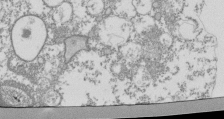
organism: Mouse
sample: Activated Pmel transgenic CD8+ T Cells